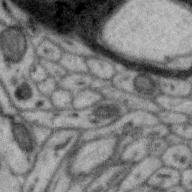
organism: Zebra finch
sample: Brain